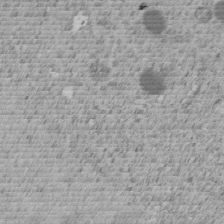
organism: C. elegans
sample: C. elegans embryo early stage